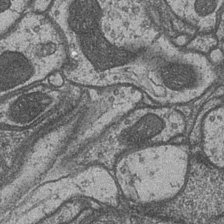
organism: Drosophila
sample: Optic medulla